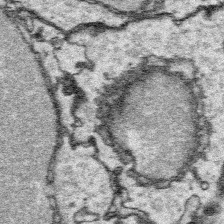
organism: Platynereis dumerilii